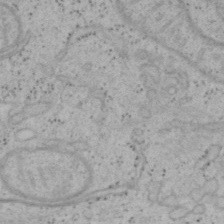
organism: Human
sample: HeLa cells